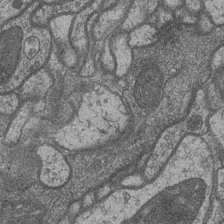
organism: Drosophila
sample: Optic medulla